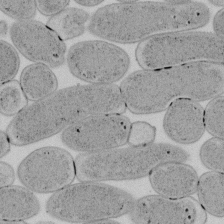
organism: E. coli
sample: Bacterial nucleoid